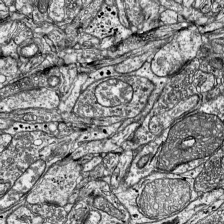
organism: Mouse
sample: Visual Cortex